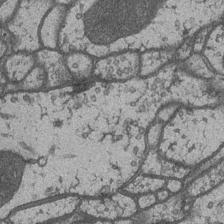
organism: Drosophila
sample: Optic medulla